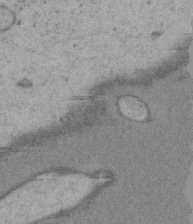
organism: Human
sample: HeLa cells